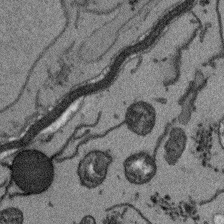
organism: Arabidopsis thaliana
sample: Root tip